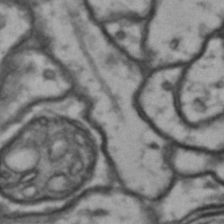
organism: Drosophila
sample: Brain